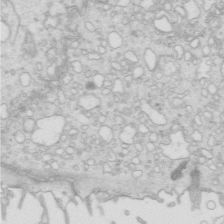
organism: Mouse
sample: Multiciliated cells